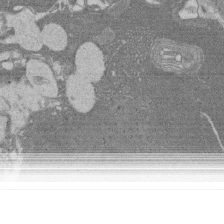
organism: Rat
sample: Salivary granule